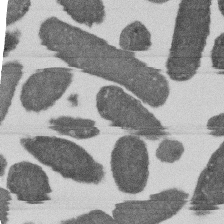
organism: E. coli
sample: Bacterial nucleoid